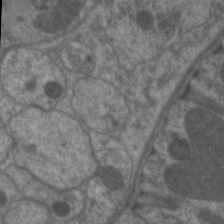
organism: C. elegans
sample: Pharynx